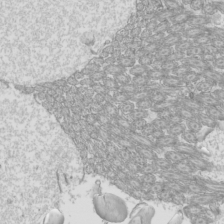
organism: Mouse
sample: Cilia; mouse epididymis